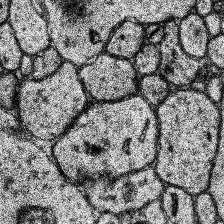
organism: Human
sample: Temporal Lobe